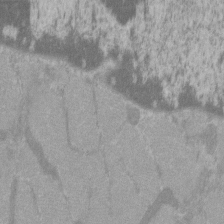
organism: C57BL Mouse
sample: Tibialis anterior muscle cell